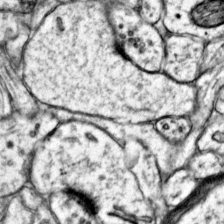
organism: Mouse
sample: Primary visual cortex